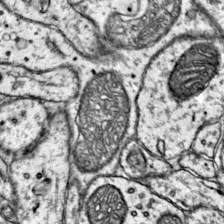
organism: Mouse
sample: Primary visual cortex